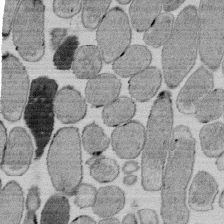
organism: E. coli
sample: Bacterial nucleoid